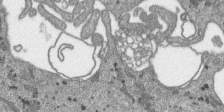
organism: Human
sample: Lung epithelial cells infected with SARS-CoV-2